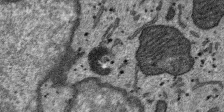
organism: Human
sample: Lung epithelial cells, uninfected (mock) control